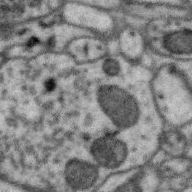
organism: Zebra finch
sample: Brain